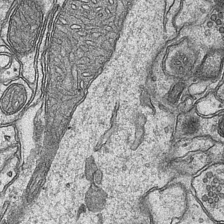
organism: Mouse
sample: CA1 Hippocampus